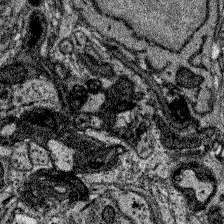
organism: Zebrafish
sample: Larval olfactory bulb